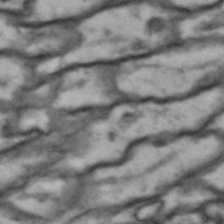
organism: Drosophila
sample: Brain